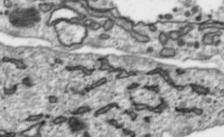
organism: Toxoplasma gondii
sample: Parasites in a vacuole inside a host cell